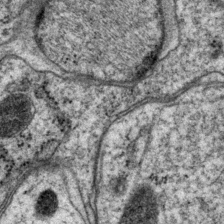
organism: P. pacificus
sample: Pharynx